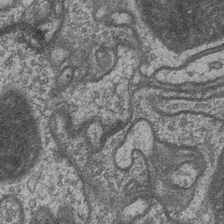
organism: Drosophila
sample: Optic medulla